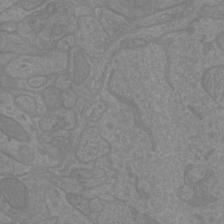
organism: Mouse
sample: Cortical neurons